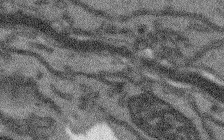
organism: Arabidopsis thaliana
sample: Root tip